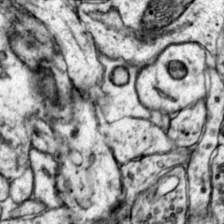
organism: Mouse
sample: Primary visual cortex